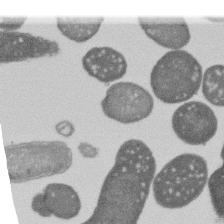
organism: E. coli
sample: Bacterial nucleoid